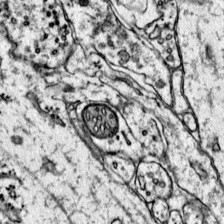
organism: Mouse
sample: Primary visual cortex